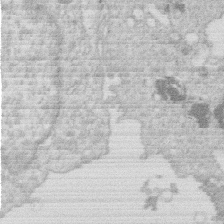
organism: Human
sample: Macrophage cells